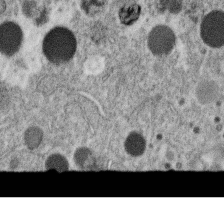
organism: C. elegans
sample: C. elegans oocyte; sperm cells